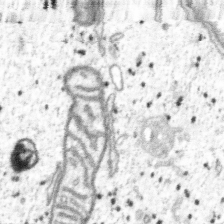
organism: Human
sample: HeLa cells